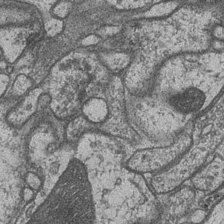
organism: Drosophila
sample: Optic medulla